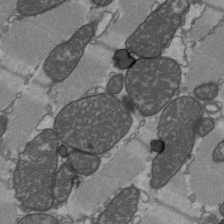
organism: C57BL Mouse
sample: Heart